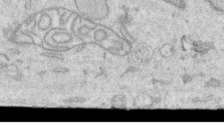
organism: Human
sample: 1205lu cells